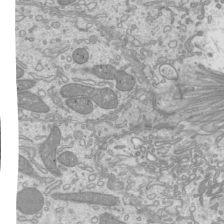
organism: Mouse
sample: Cilia; mouse epididymis